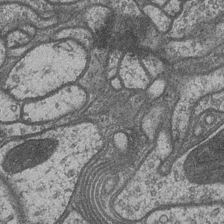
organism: Drosophila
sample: Optic medulla